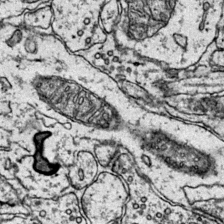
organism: Mouse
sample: Primary visual cortex